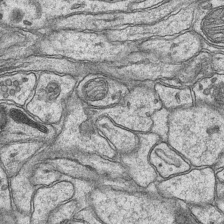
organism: Mouse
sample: CA1 Hippocampus